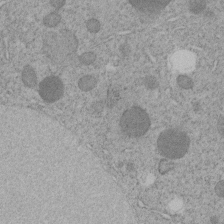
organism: C. elegans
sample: C. elegans embryo early stage